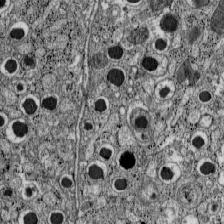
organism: C57BL Mouse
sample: Pancreatic islet